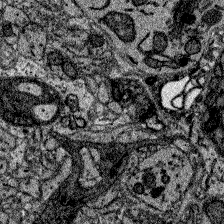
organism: Zebrafish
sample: Larval olfactory bulb